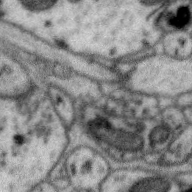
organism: Zebra finch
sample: Brain